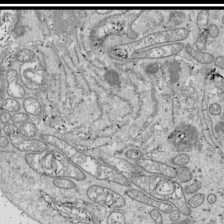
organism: Drosophila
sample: Cell division; meiosis; drosophila spermatocytes